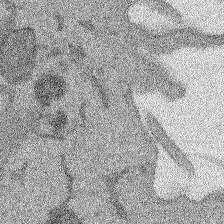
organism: Human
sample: HeLa cells